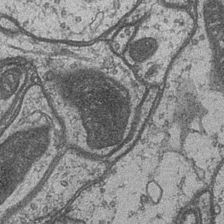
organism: Drosophila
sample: Optic medulla